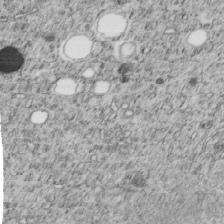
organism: C. elegans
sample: C. elegans embryo early stage